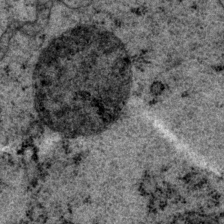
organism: P. pacificus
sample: Pharynx